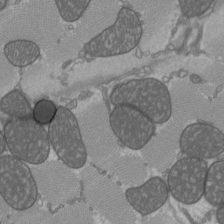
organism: C57BL Mouse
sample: Heart